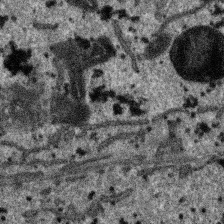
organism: Human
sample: Lung epithelial cells infected with SARS-CoV-2